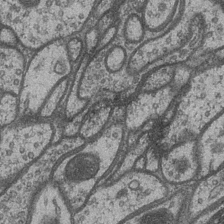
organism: Drosophila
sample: Optic medulla